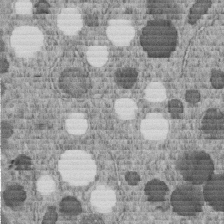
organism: C. elegans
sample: C. elegans embryo early stage